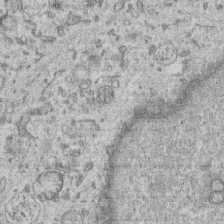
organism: Human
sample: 1205lu cells